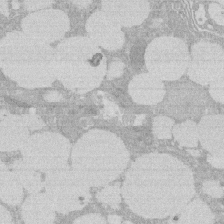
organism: Rat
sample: Salivary granule